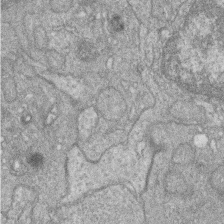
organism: Zebrafish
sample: Cilia; retinal pigment epithelium